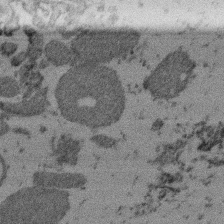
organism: Mouse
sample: Dividing mouse embryo 1 cell stage